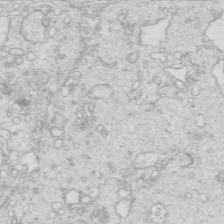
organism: Mouse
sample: Multiciliated cells